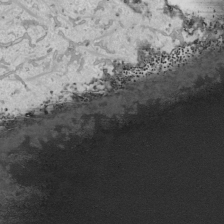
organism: Human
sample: Mitochondria in HCT116 cells